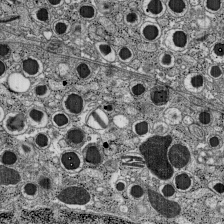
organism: C57BL Mouse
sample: Pancreatic islet